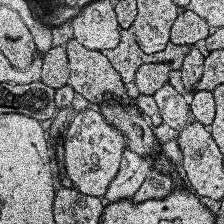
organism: Human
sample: Temporal Lobe